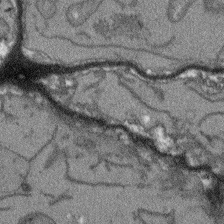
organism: Arabidopsis thaliana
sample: Root tip